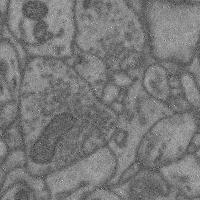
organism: Mouse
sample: Cerebral cortex